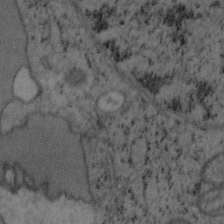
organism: Human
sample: HeLa cells